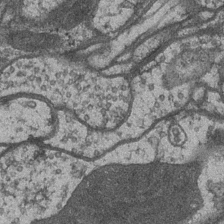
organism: Drosophila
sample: Optic medulla